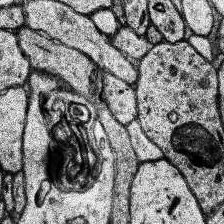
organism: Human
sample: Temporal Lobe